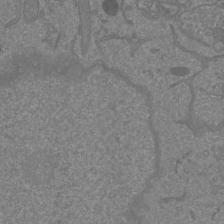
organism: Mouse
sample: Cortical neurons